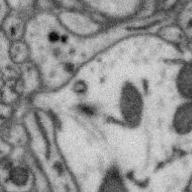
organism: Zebra finch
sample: Brain